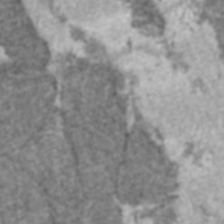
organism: C57BL Mouse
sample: Heart